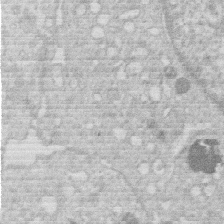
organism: Human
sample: Macrophage cells